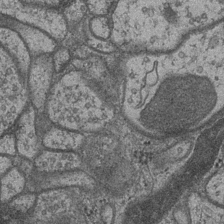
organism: Drosophila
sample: Optic medulla